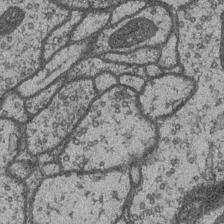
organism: Drosophila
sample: Optic medulla